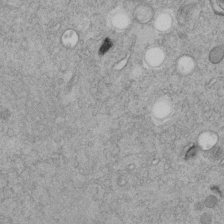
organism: C. elegans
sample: C. elegans embryo early stage